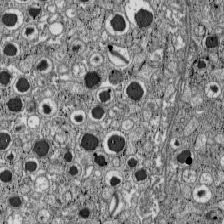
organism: C57BL Mouse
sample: Pancreatic islet